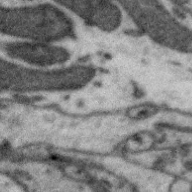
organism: Zebra finch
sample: Brain